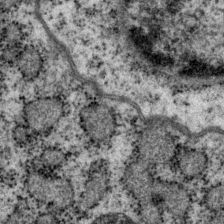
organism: P. pacificus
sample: Pharynx